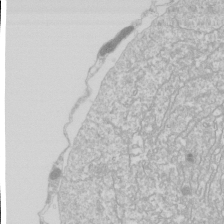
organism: Drosophila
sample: Cell division; meiosis; drosophila spermatocytes